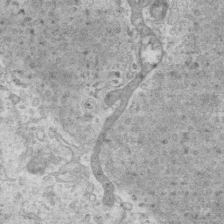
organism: Mouse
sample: Centriole in ependymal cells